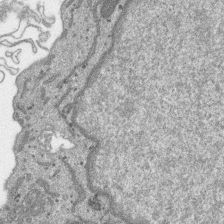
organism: Human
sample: Lung epithelial cells infected with SARS-CoV-2